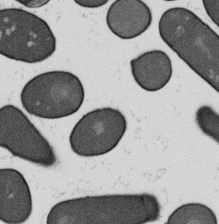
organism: B. subtilis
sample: Bacterial spore